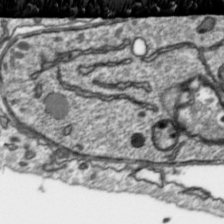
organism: Toxoplasma gondii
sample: Parasites in a vacuole inside a host cell